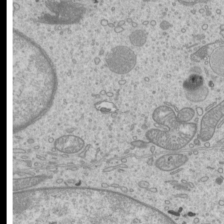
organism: Mouse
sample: Cilia; mouse epididymis